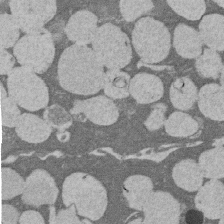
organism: Rat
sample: Salivary granule